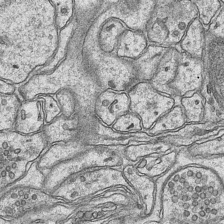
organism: Mouse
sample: CA1 Hippocampus